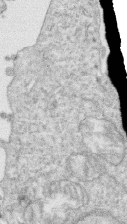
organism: Human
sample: HeLa cell HIV synapse